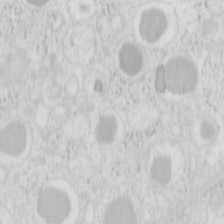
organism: Mouse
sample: Pancreas